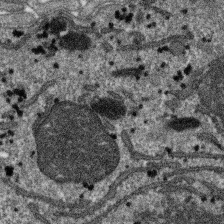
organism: Human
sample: Lung epithelial cells infected with SARS-CoV-2